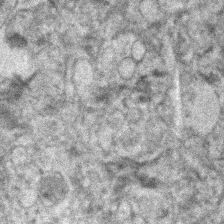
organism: Human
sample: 1205lu cells